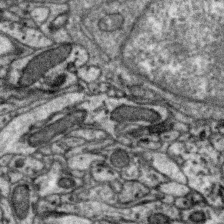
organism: Zebra finch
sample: Brain